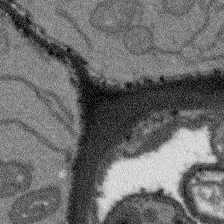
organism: Arabidopsis thaliana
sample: Root tip